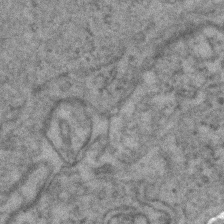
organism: Zebrafish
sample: Zebrafish embryo